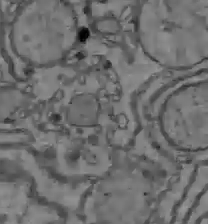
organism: C57BL Mouse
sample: Liver